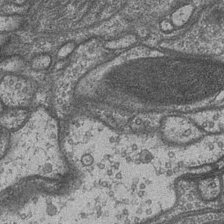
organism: Drosophila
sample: Optic medulla